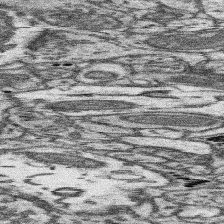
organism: Mouse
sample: Somatosensory cortex neuropil